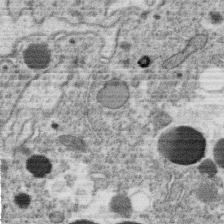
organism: C. elegans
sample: C. elegans oocyte; sperm cells